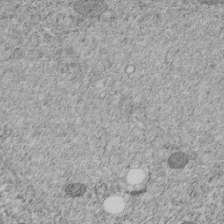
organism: C. elegans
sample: C. elegans embryo early stage